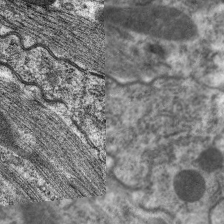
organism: C. elegans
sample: Pharynx